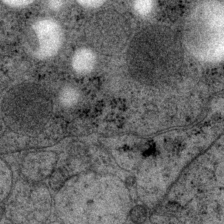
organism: P. pacificus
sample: Pharynx